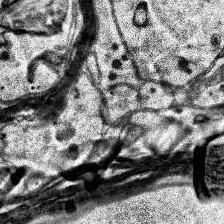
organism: Human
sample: Temporal Lobe